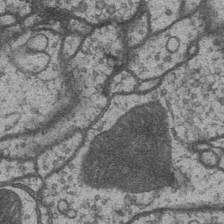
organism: Drosophila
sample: Optic medulla